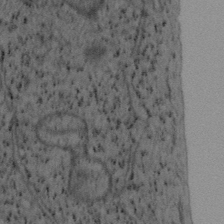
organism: Human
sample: HeLa cells